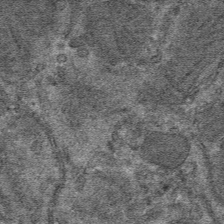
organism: Mouse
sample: Mouse hepatocytes